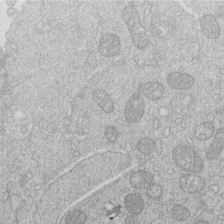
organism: Human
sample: Macrophage cells